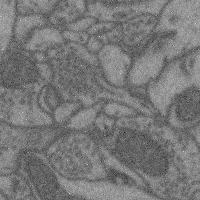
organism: Mouse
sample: Cerebral cortex